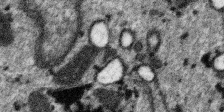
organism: Human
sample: Lung epithelial cells infected with SARS-CoV-2